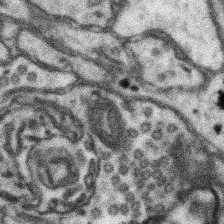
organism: Mouse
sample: Somatosensory cortex neuropil